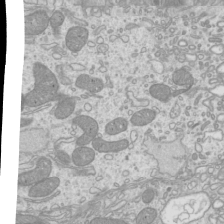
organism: Mouse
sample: Cilia; mouse epididymis